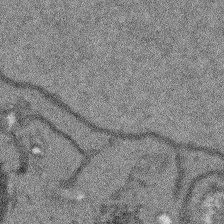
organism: Arabidopsis thaliana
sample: Root tip